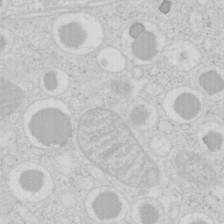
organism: Mouse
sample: Pancreas